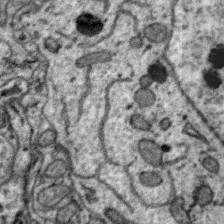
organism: Zebra finch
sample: Brain